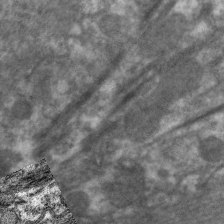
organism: C. elegans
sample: Pharynx